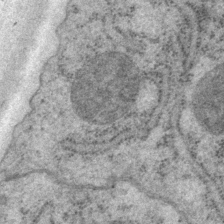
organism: P. pacificus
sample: Pharynx